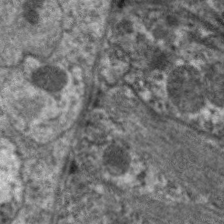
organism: C. elegans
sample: Pharynx